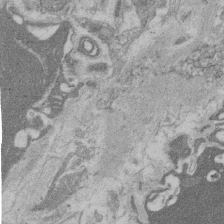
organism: Rat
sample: Salivary granule